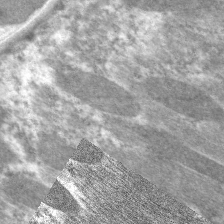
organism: C. elegans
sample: Pharynx